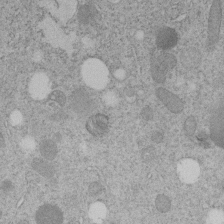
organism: C. elegans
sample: C. elegans embryo early stage